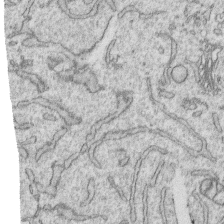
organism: Human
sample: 1205lu cells